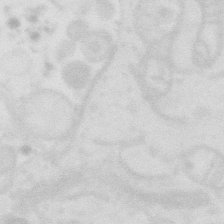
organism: Human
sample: HeLa cells